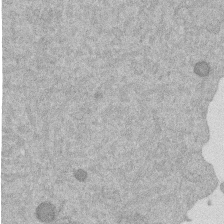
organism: Mouse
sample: Dividing mouse embryo 1 cell stage